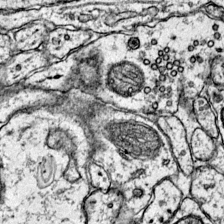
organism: Mouse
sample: Primary visual cortex